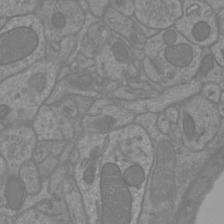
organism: Mouse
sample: Cortical neurons